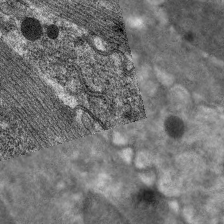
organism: C. elegans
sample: Pharynx